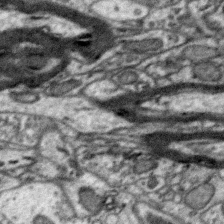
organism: Zebra finch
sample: Brain